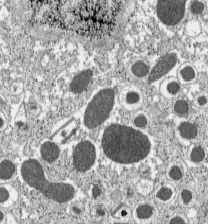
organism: C57BL Mouse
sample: Pancreatic islet